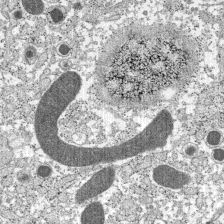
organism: C57BL Mouse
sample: Pancreatic islet